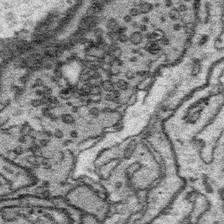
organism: Platynereis dumerilii